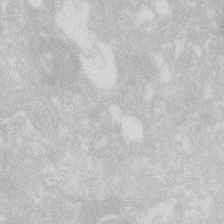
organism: Zebrafish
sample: Macrophage